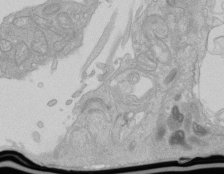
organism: Human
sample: Retinal organoid Rod and Cone cells